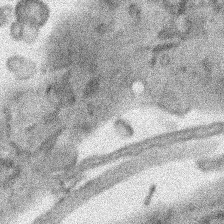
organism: Human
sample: Mitochondria in HCT116 cells